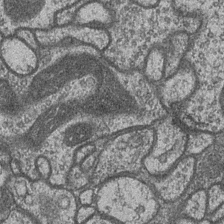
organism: Drosophila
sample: Optic medulla